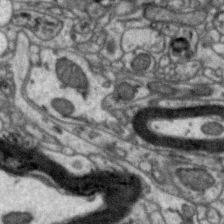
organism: Zebra finch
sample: Brain